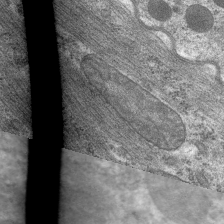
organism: C. elegans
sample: Pharynx